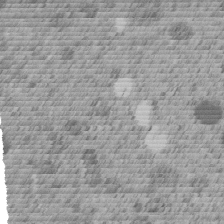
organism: C. elegans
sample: C. elegans embryo early stage